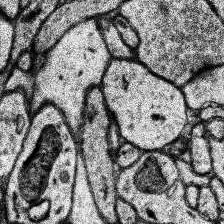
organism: Human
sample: Temporal Lobe